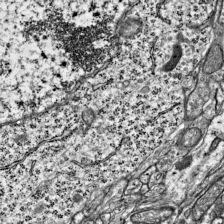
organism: Mouse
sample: Visual Cortex